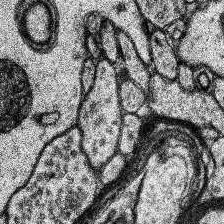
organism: Human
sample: Temporal Lobe